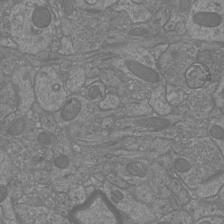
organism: Mouse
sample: Cortical neurons